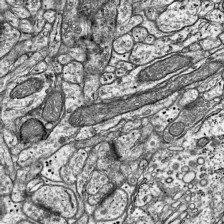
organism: Mouse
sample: Visual Cortex